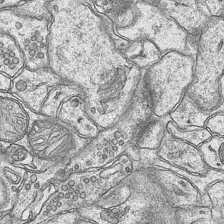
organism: Mouse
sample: CA1 Hippocampus